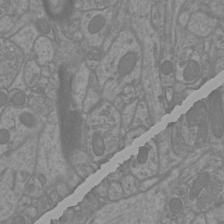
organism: Mouse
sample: Cortical neurons